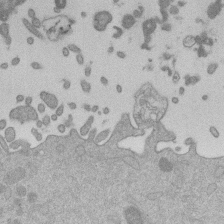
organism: Mouse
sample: Dividing mouse embryo 1 cell stage